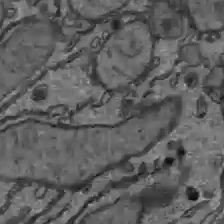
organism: C57BL Mouse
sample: Liver